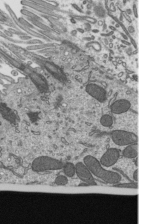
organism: Mouse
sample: Mouse epididymis efferent ductule cilia